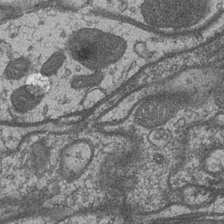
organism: Drosophila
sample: Optic medulla